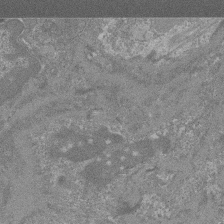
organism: Mouse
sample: Glomerulus